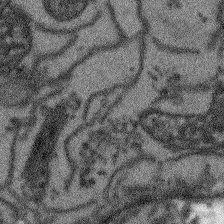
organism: Arabidopsis thaliana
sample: Root tip